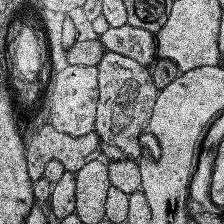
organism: Human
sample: Temporal Lobe